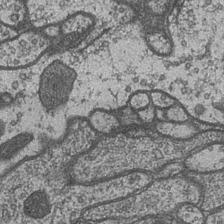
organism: Drosophila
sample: Optic medulla